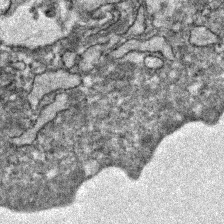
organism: Zebrafish